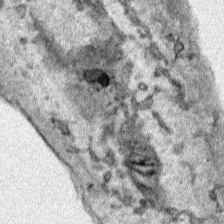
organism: Human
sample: Mitochondria in HCT116 cells